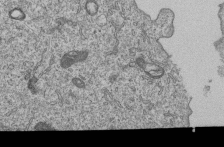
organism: Human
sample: MDA-MB-231 cells